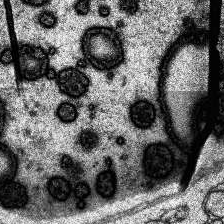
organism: Human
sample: Temporal Lobe